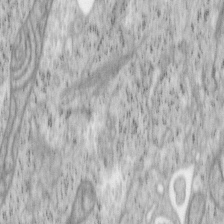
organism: Human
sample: HeLa cells